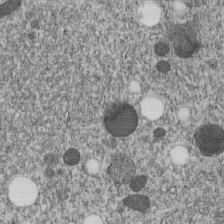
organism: C. elegans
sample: C. elegans embryo early stage